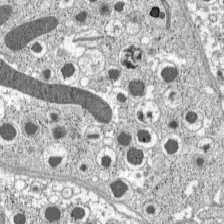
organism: C57BL Mouse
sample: Pancreatic islet